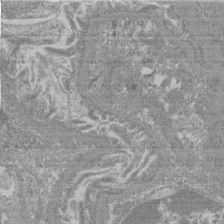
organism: Mouse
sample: Glomerulus